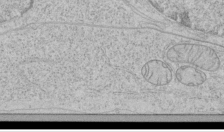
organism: Human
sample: Mitochondria in HCT116 cells